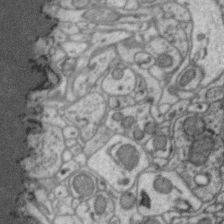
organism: Zebra finch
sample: Brain